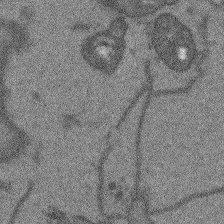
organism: Arabidopsis thaliana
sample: Root tip